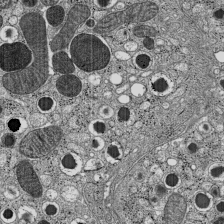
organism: C57BL Mouse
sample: Pancreatic islet